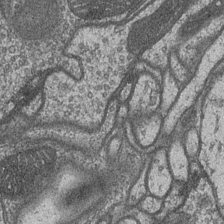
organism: Drosophila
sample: Optic medulla